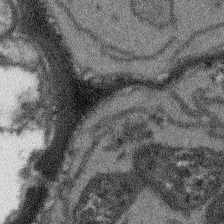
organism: Arabidopsis thaliana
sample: Root tip